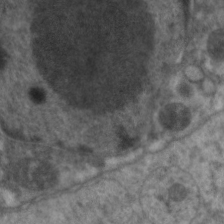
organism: C. elegans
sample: Pharynx